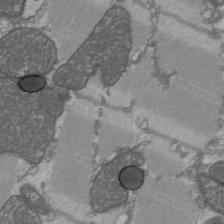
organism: C57BL Mouse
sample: Heart